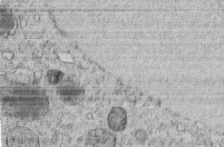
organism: C. elegans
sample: C. elegans embryo early stage